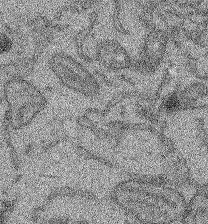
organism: Human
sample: HeLa cells